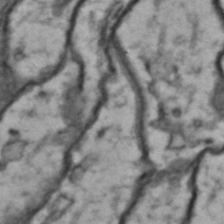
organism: Drosophila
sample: Brain